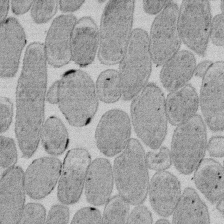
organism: E. coli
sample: Bacterial nucleoid